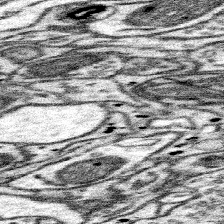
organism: Mouse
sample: Somatosensory cortex neuropil